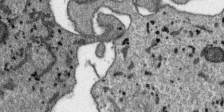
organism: Human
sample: Lung epithelial cells, uninfected (mock) control